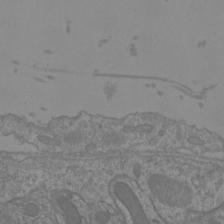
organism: Mouse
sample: Cortical neurons